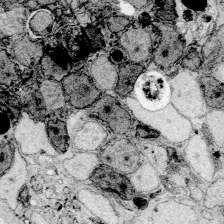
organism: Zebrafish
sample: Whole-Brain